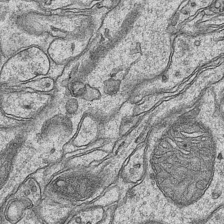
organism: Mouse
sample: CA1 Hippocampus